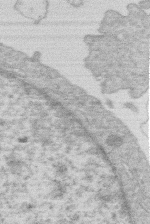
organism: Human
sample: Macrophage cells